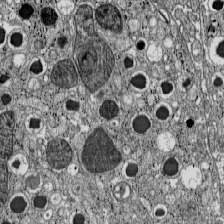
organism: C57BL Mouse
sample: Pancreatic islet